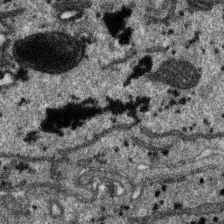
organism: Human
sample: Lung epithelial cells infected with SARS-CoV-2